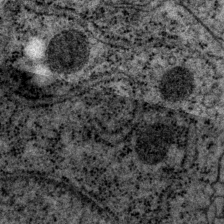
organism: P. pacificus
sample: Pharynx